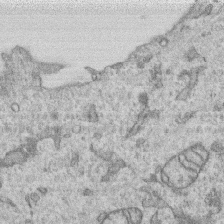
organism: Human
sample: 1205lu cells